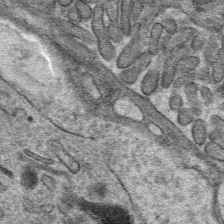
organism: Mouse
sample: Mouse hepatocytes